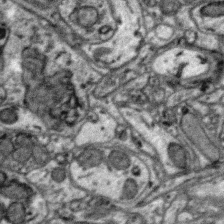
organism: Zebra finch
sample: Brain